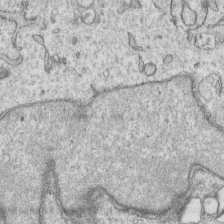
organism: Human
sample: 1205lu cells